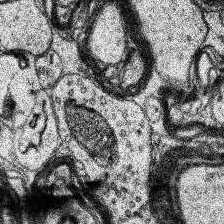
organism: Human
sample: Temporal Lobe